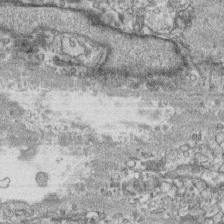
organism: Human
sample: CRL-1474